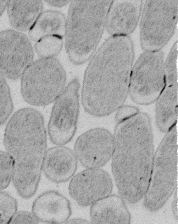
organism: E. coli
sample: Bacterial nucleoid